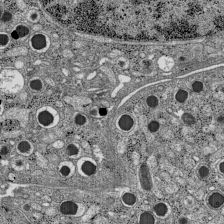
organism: C57BL Mouse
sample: Pancreatic islet